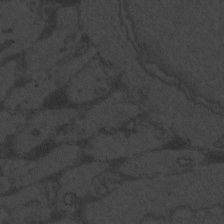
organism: Zebrafish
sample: Macrophage infected with Toxoplasma gondii